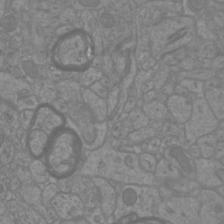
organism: Mouse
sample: Cortical neurons